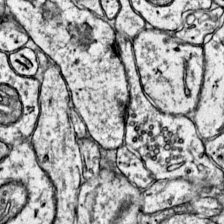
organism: Mouse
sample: Primary visual cortex